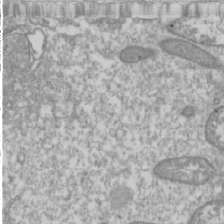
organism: Drosophila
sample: Cell division; meiosis; drosophila spermatocytes